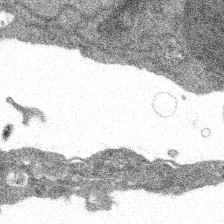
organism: Spongilla lacustris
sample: Multiple